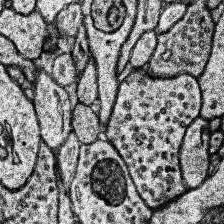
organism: Human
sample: Temporal Lobe